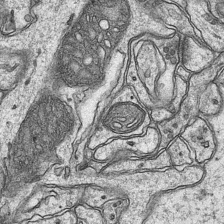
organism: Mouse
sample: CA1 Hippocampus